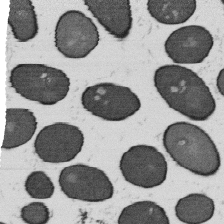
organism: B. subtilis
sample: Bacterial spore